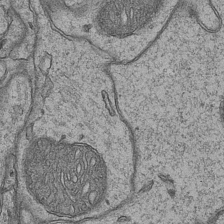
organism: Mouse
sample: CA1 Hippocampus